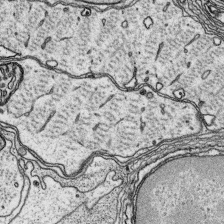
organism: Platynereis dumerilii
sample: Parapodia